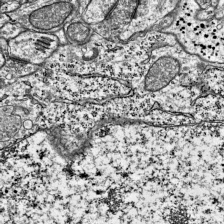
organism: Mouse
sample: Visual Cortex